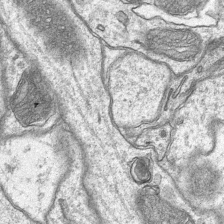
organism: Mouse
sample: CA1 Hippocampus